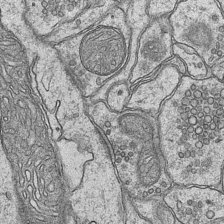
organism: Mouse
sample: CA1 Hippocampus